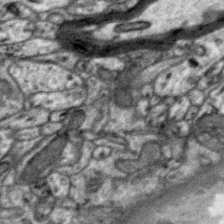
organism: Zebra finch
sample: Brain